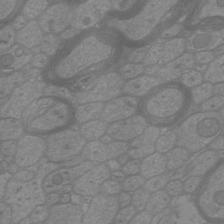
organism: Mouse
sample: Cortical neurons